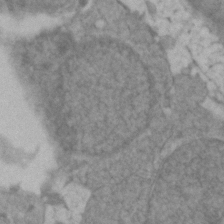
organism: Zebrafish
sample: Zebrafish embryo